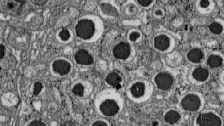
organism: C57BL Mouse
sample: Pancreatic islet